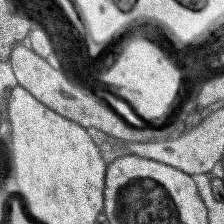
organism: Human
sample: Temporal Lobe